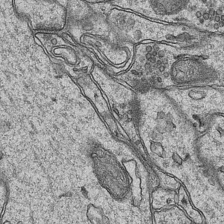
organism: Mouse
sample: CA1 Hippocampus